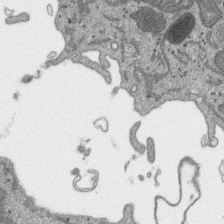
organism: Human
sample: Lung epithelial cells infected with SARS-CoV-2